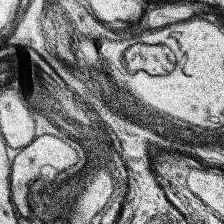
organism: Human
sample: Temporal Lobe